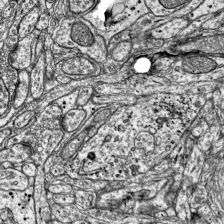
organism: Mouse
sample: Visual Cortex